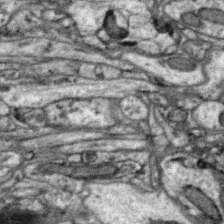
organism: Zebra finch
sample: Brain